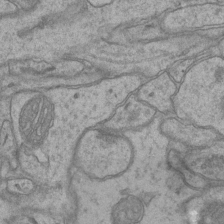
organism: Mouse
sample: CA1 Hippocampus